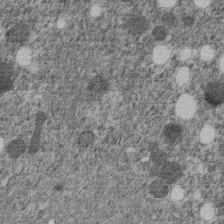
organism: C. elegans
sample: C. elegans embryo early stage